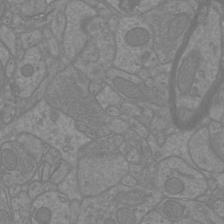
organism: Mouse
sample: Cortical neurons